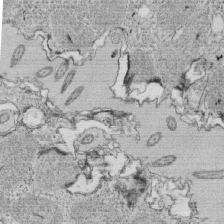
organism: Tetrahymena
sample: Cilia in tetrahymena